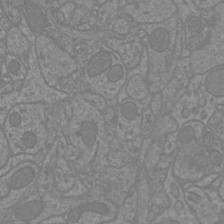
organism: Mouse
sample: Cortical neurons